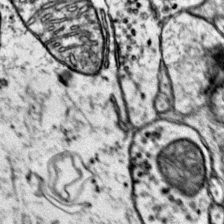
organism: Mouse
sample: Primary visual cortex